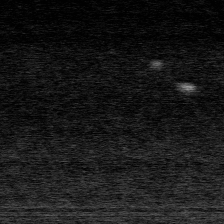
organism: Human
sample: HeLa cells